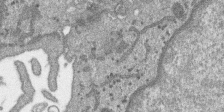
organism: Human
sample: Lung epithelial cells infected with SARS-CoV-2